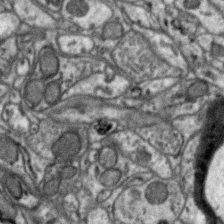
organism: Zebra finch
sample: Brain